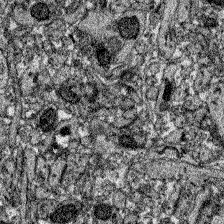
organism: Zebrafish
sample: Larval olfactory bulb